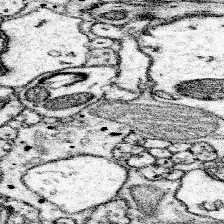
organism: Mouse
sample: Somatosensory cortex neuropil